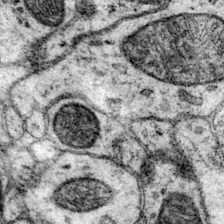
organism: Mouse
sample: Primary visual cortex